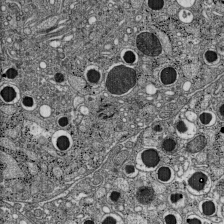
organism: C57BL Mouse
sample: Pancreatic islet